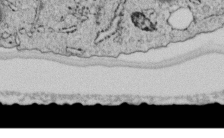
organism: C. elegans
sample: C. elegans embryo early stage